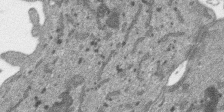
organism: Human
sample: Lung epithelial cells infected with SARS-CoV-2